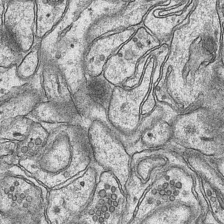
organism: Mouse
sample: CA1 Hippocampus